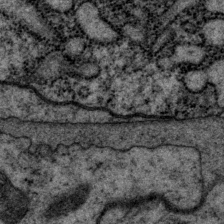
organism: P. pacificus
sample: Pharynx